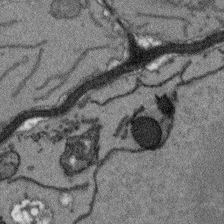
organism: Arabidopsis thaliana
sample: Root tip